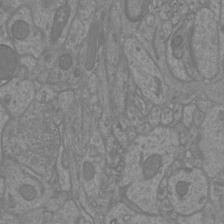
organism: Mouse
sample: Cortical neurons